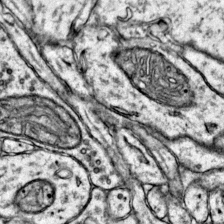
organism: Mouse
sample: Primary visual cortex